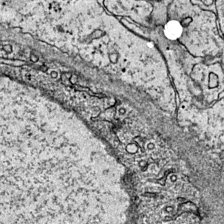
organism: Mouse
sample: Primary visual cortex